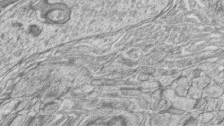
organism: Zebrafish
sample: synaptic ribbons in rod cells and cone cells